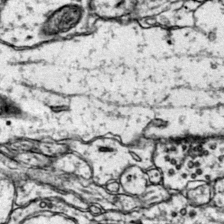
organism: Mouse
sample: Primary visual cortex